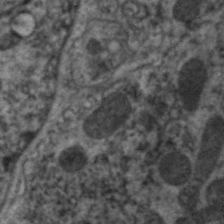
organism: C. elegans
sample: Pharynx